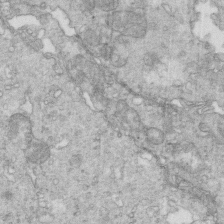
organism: Mouse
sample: Multiciliated cells